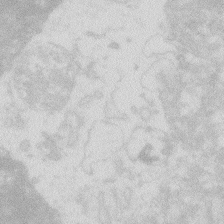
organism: Zebrafish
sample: Macrophage